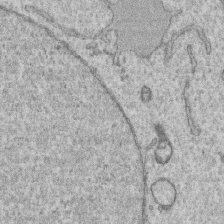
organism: Human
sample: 1205lu cells